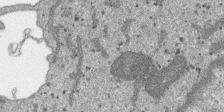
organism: Human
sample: Lung epithelial cells infected with SARS-CoV-2